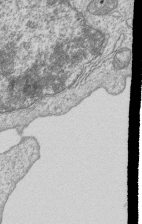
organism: Human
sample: MDA-MB-231 cells